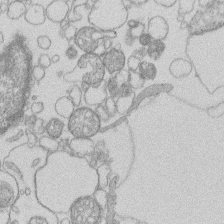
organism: Human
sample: Macrophage cells